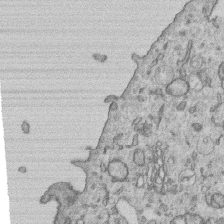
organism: Human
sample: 1205lu cells